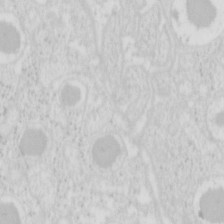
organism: Mouse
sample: Pancreas